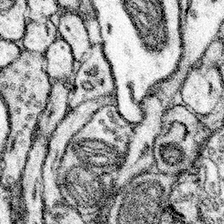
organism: Mouse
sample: Somatosensory cortex neuropil